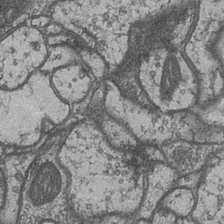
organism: Drosophila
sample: Optic medulla